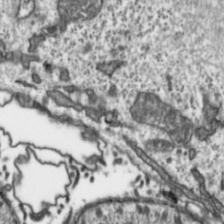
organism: Toxoplasma gondii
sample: Parasites in a vacuole inside a host cell